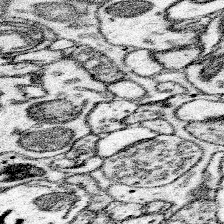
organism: Mouse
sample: Somatosensory cortex neuropil